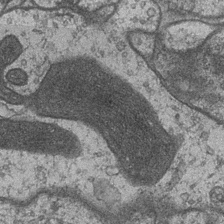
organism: Drosophila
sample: Optic medulla